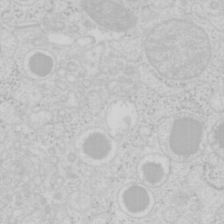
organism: Mouse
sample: Pancreas